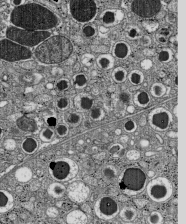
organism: C57BL Mouse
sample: Pancreatic islet